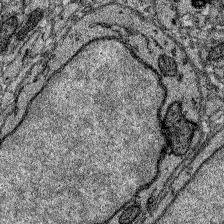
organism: Zebrafish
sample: Larval olfactory bulb